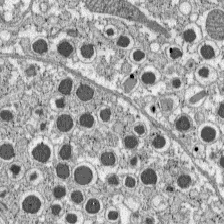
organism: C57BL Mouse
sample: Pancreatic islet